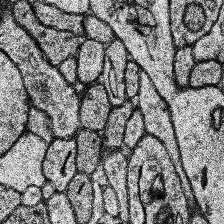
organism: Human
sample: Temporal Lobe